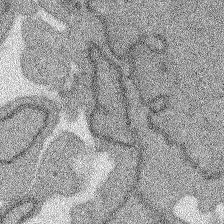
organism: Human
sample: HeLa cells